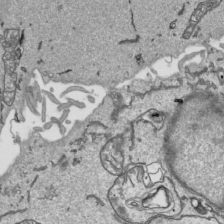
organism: Human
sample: Mitochondria in HCT116 cells